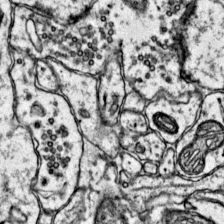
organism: Mouse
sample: Primary visual cortex